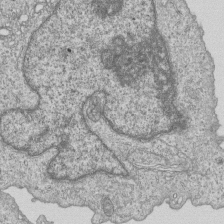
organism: Human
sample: MDA-MB-231 cells